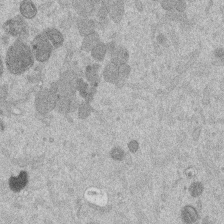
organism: Mouse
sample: Dividing mouse embryo 1 cell stage